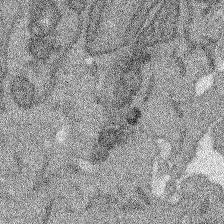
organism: Human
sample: HeLa cells